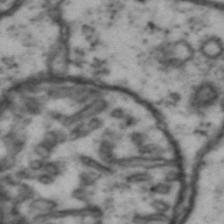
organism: Drosophila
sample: Brain